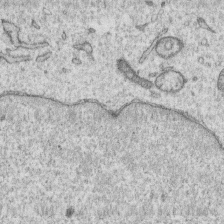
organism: Human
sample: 1205lu cells